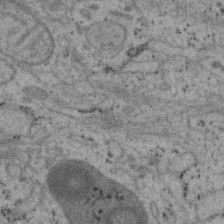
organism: Human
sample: HeLa cells